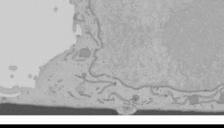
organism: Mouse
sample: Cancer cell death in ED-1 cells